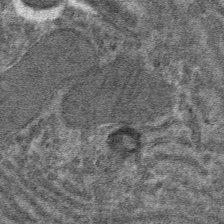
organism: Mouse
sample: Mouse hepatocytes